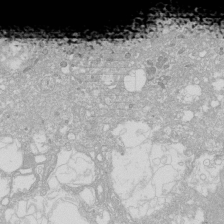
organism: Human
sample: Caco-2 cells